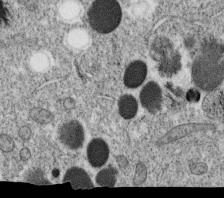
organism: C. elegans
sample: C. elegans oocyte; sperm cells